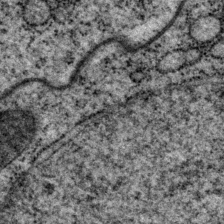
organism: P. pacificus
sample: Pharynx